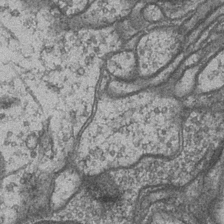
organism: Drosophila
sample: Optic medulla